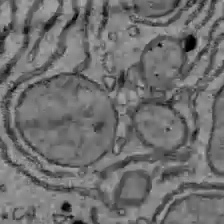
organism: C57BL Mouse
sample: Liver